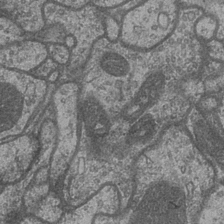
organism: Drosophila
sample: Optic medulla